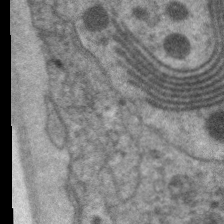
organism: C. elegans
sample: Pharynx